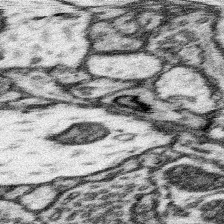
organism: Mouse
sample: Somatosensory cortex neuropil